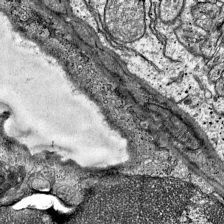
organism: Mouse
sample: Visual Cortex